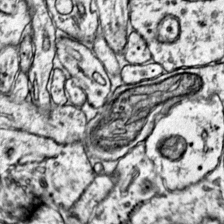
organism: Mouse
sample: Primary visual cortex